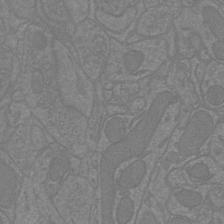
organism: Mouse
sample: Cortical neurons